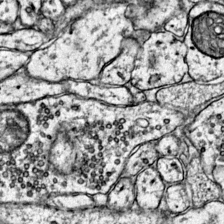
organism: Mouse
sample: Primary visual cortex